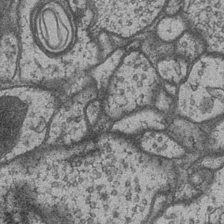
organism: Drosophila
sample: Optic medulla